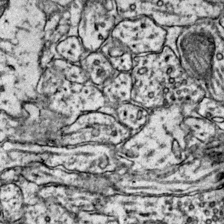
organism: Mouse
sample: Primary visual cortex